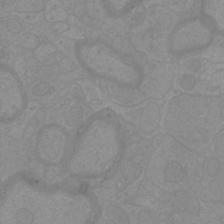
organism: Mouse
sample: Cortical neurons